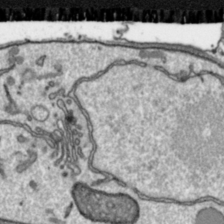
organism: Toxoplasma gondii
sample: Parasites in a vacuole inside a host cell